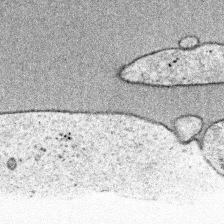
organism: Human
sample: HeLa cells